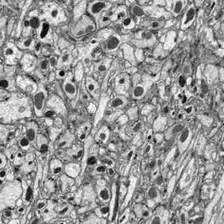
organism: Drosophila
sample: Optic lobe